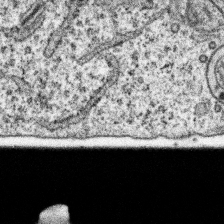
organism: Human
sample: HeLa cells